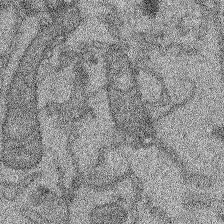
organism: Human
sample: HeLa cells